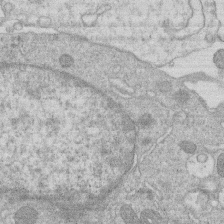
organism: Human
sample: Macrophage cells